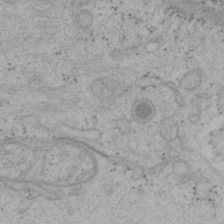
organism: Human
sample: HeLa cells